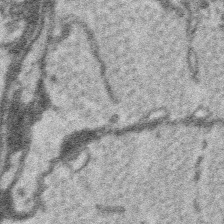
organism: Platynereis dumerilii